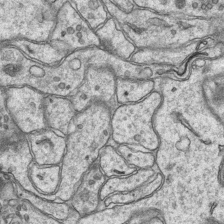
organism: Mouse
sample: CA1 Hippocampus